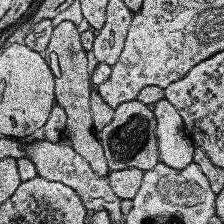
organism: Human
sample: Temporal Lobe